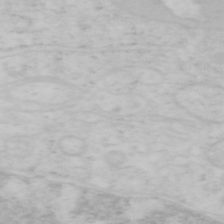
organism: Mouse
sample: OT-I killer T cells with ID8 ovarian cancer cells